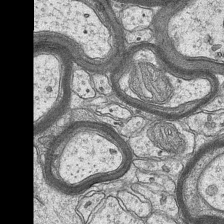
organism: Mouse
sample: CA1 Hippocampus